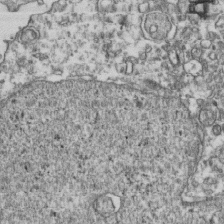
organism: Human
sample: Activated Jurkat CD4+ T cells